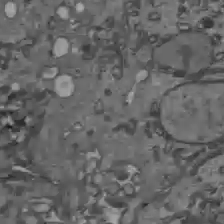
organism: C57BL Mouse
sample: Liver